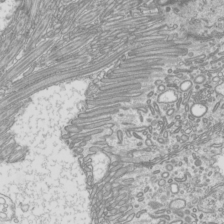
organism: Mouse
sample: Cilia; mouse epididymis